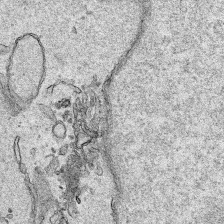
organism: Human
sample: Mitochondria in HCT116 cells